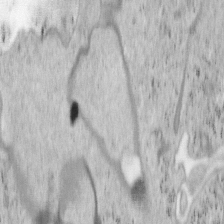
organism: Human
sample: HeLa cells